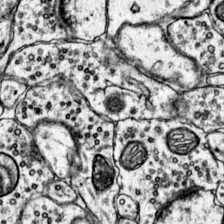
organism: Mouse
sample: Primary visual cortex